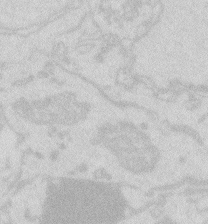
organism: Zebrafish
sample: Macrophage